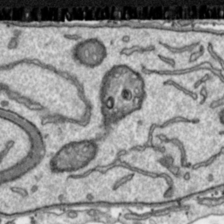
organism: Toxoplasma gondii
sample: Parasites in a vacuole inside a host cell